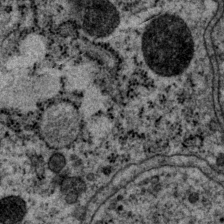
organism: P. pacificus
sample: Pharynx